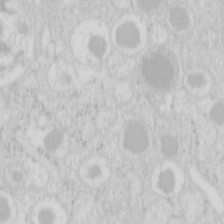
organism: Mouse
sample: Pancreas